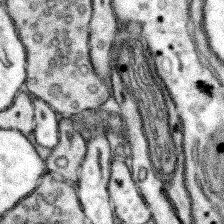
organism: Mouse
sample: Somatosensory cortex neuropil